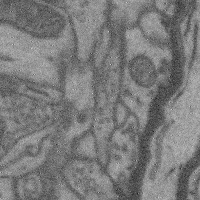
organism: Mouse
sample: Cerebral cortex